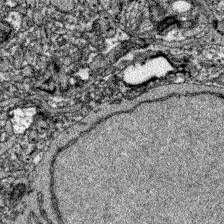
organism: Zebrafish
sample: Larval olfactory bulb